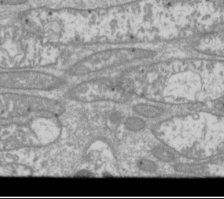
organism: Drosophila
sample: Cell division; meiosis; drosophila spermatocytes